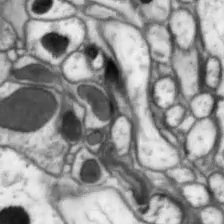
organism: Drosophila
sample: Optic lobe